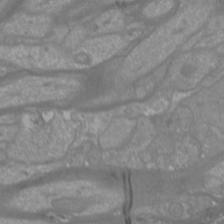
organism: Mouse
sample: Cortical neurons